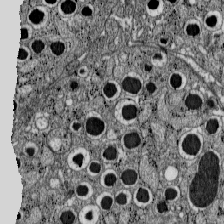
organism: C57BL Mouse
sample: Pancreatic islet